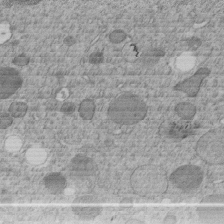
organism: C. elegans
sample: C. elegans embryo early stage